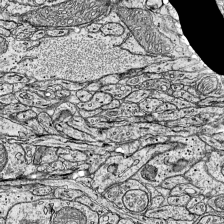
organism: Mouse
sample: Visual Cortex